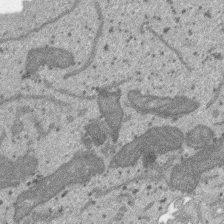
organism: Human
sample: Lung epithelial cells infected with SARS-CoV-2